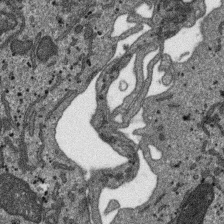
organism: Human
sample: Lung epithelial cells infected with SARS-CoV-2